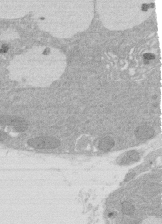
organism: Rat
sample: Salivary granule